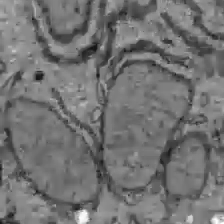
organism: C57BL Mouse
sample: Liver